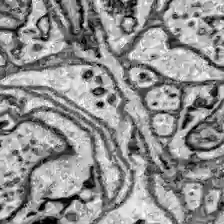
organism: Zebrafish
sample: Brain